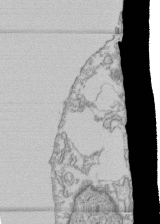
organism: Human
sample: Fibroblast cells